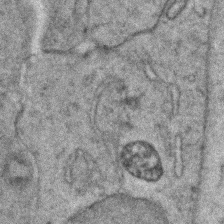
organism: Zebrafish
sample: Zebrafish embryo